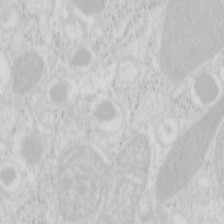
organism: Mouse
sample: Pancreas